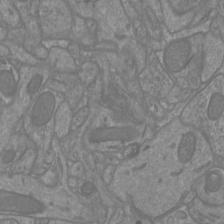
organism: Mouse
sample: Cortical neurons